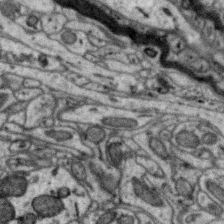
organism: Zebra finch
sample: Brain